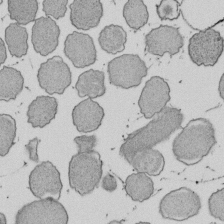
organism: E. coli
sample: Bacterial nucleoid